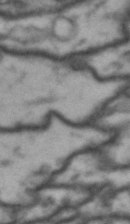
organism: Drosophila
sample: Brain